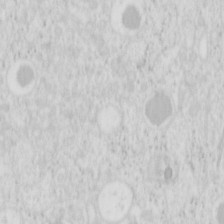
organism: Mouse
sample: Pancreas